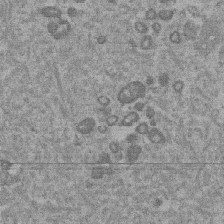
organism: Mouse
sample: Dividing mouse embryo 1 cell stage